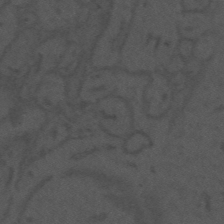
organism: Mouse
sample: Suprachiasmatic nucleus